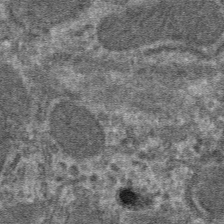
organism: Mouse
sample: Mouse hepatocytes